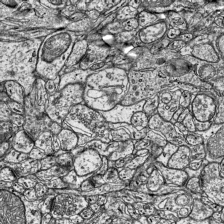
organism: Mouse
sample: Visual Cortex